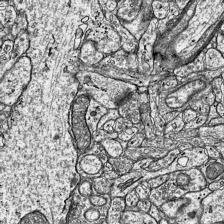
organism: Mouse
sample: Visual Cortex